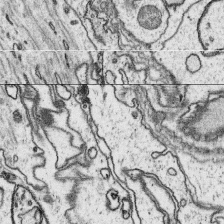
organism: Platynereis dumerilii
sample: Parapodia